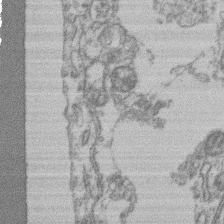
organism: Mouse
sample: T cell stromal cell synapse